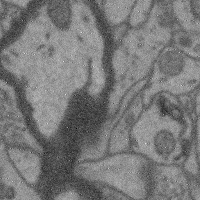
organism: Mouse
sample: Cerebral cortex